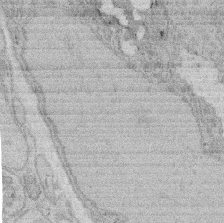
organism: Rat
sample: Salivary granule